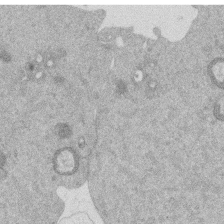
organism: Mouse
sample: Dividing mouse embryo 1 cell stage